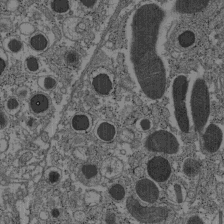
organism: C57BL Mouse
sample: Pancreatic islet